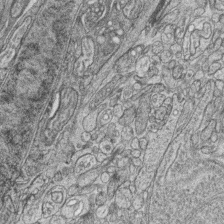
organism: Zebrafish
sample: synaptic ribbons in rod cells and cone cells